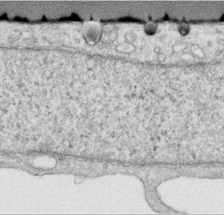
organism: Human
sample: Centriole in RPE cells